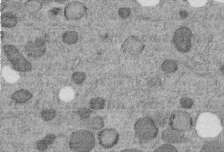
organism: C. elegans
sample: C. elegans embryo early stage